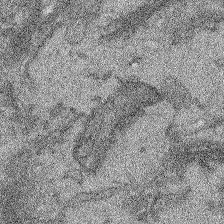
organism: Human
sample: HeLa cells